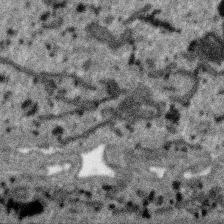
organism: Human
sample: Lung epithelial cells infected with SARS-CoV-2